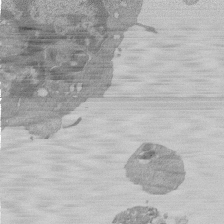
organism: Mouse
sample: Activated Pmel transgenic CD8+ T Cells